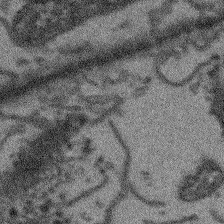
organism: Arabidopsis thaliana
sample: Root tip